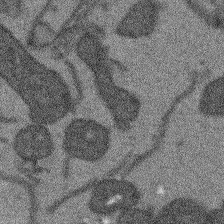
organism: Arabidopsis thaliana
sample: Root tip